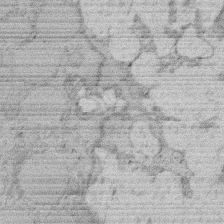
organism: Rat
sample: Salivary granule